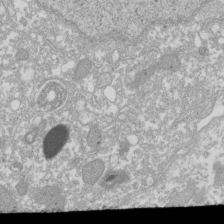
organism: Xenopus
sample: Cilia; centrioles in frog embryo cells